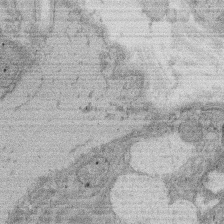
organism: Rat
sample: Salivary granule